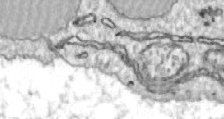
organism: Zebrafish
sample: Actinotrichia fibers